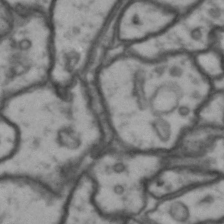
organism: Drosophila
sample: Brain